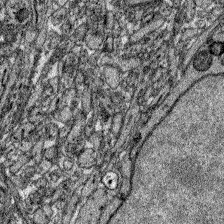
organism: Zebrafish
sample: Larval olfactory bulb